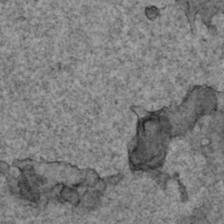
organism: Human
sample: Mitochondria in HCT116 cells